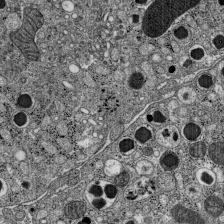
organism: C57BL Mouse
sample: Pancreatic islet